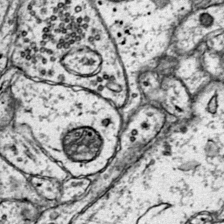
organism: Mouse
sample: Primary visual cortex